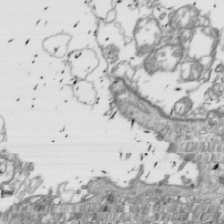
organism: Drosophila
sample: Cell division; meiosis; drosophila spermatocytes